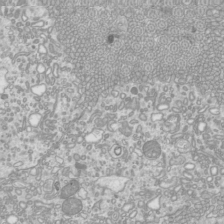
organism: Mouse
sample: Cilia; mouse epididymis